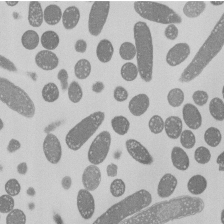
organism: E. coli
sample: Bacterial nucleoid